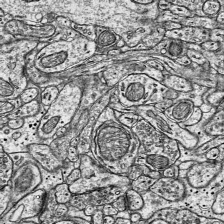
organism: Mouse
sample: Visual Cortex